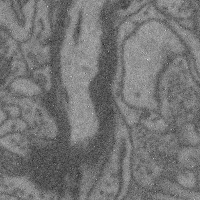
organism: Mouse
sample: Cerebral cortex